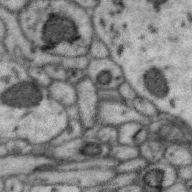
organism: Zebra finch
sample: Brain